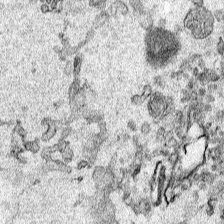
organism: Human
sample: Mitochondria in HCT116 cells